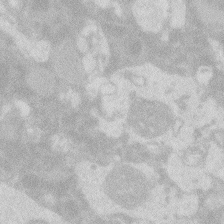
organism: Zebrafish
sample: Macrophage